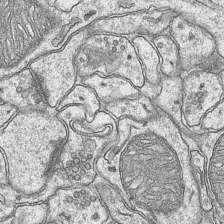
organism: Mouse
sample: CA1 Hippocampus